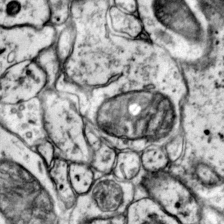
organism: Mouse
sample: Primary visual cortex